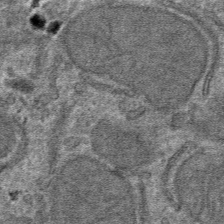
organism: Mouse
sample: Mouse hepatocytes